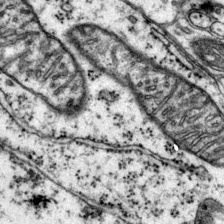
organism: Mouse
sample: Primary visual cortex